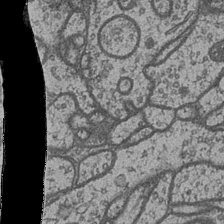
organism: Drosophila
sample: Optic medulla